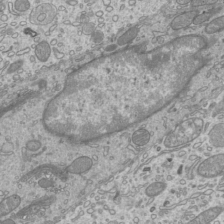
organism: Mouse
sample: Cilia; mouse epididymis